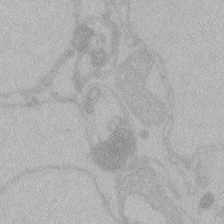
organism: Zebrafish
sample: Macrophage infected with Toxoplasma gondii